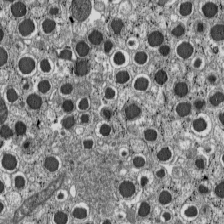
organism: C57BL Mouse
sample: Pancreatic islet